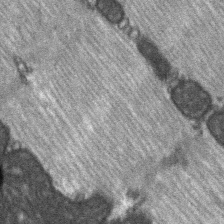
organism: C57BL Mouse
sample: Soleus